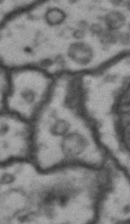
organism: Drosophila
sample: Brain